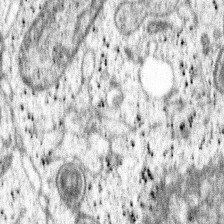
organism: Human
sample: HeLa cells